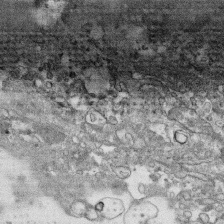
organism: Human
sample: CRL-1474